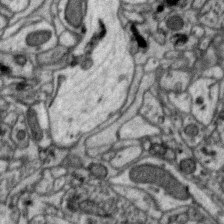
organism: Zebra finch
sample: Brain